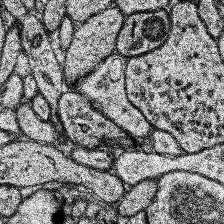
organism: Human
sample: Temporal Lobe